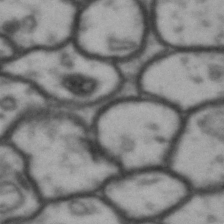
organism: Drosophila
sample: Brain